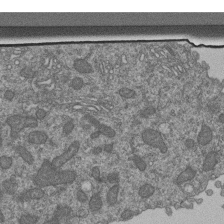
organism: Human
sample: Retinal organoid Rod and Cone cells